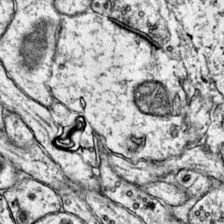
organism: Mouse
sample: Primary visual cortex